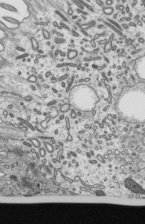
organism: Mouse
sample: Mouse epididymis efferent ductule cilia